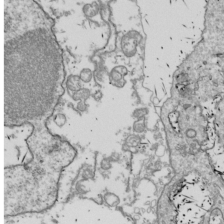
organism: Drosophila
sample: Cell division; meiosis; drosophila spermatocytes